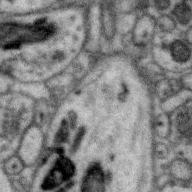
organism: Zebra finch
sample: Brain